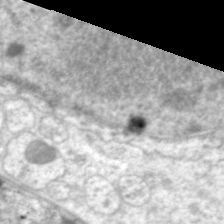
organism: C. elegans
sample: Pharynx